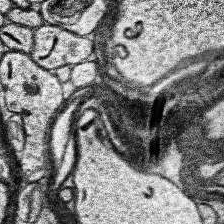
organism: Human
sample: Temporal Lobe